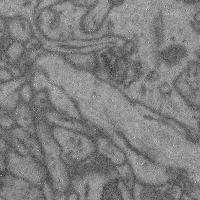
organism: Mouse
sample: Cerebral cortex